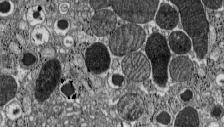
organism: C57BL Mouse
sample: Pancreatic islet